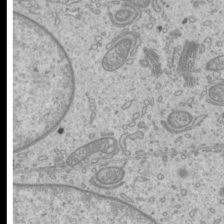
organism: Mouse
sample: Cilia; mouse epididymis